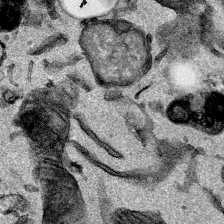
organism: Mouse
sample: Cancer cell death in ED-1 cells